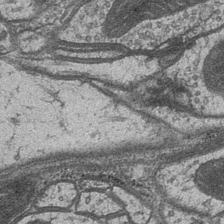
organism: Drosophila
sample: Optic medulla